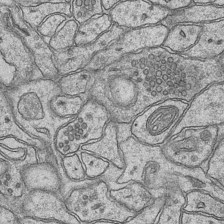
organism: Mouse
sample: CA1 Hippocampus